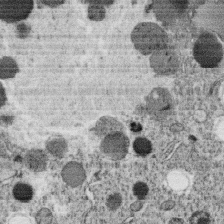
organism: C. elegans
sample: C. elegans oocyte; sperm cells